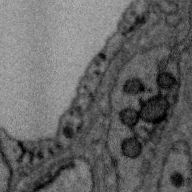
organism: Zebra finch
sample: Brain